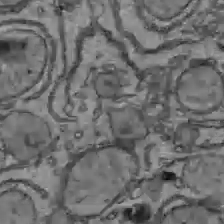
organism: C57BL Mouse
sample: Liver